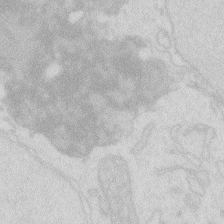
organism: Zebrafish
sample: Macrophage